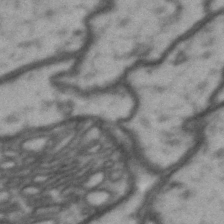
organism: Drosophila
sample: Brain